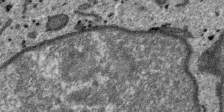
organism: Human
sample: Lung epithelial cells, uninfected (mock) control